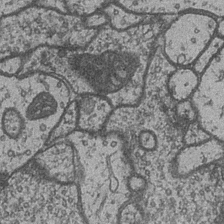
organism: Drosophila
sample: Optic medulla